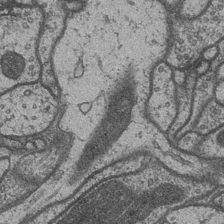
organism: Drosophila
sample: Optic medulla